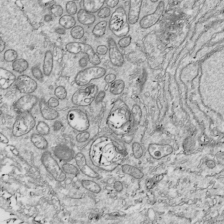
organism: Drosophila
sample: Cell division; meiosis; drosophila spermatocytes